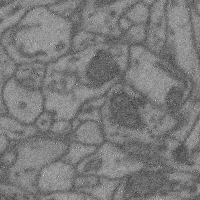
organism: Mouse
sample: Cerebral cortex